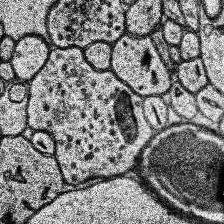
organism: Human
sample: Temporal Lobe